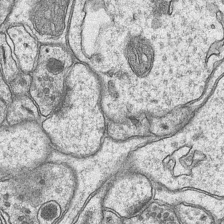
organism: Mouse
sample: CA1 Hippocampus